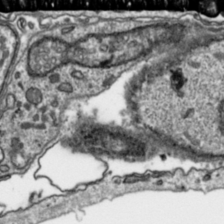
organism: Toxoplasma gondii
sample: Parasites in a vacuole inside a host cell